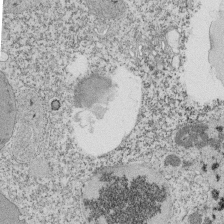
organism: Tetrahymena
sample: Cilia in tetrahymena